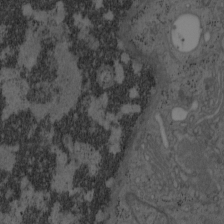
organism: Mouse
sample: OT-I killer T cells with ID8 ovarian cancer cells